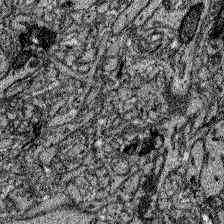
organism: Zebrafish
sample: Larval olfactory bulb